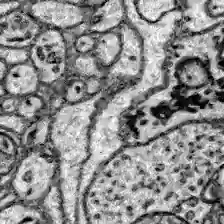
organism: Zebrafish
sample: Brain